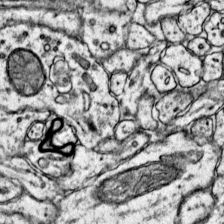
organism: Mouse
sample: Primary visual cortex